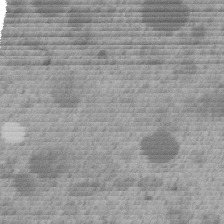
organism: C. elegans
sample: C. elegans embryo early stage